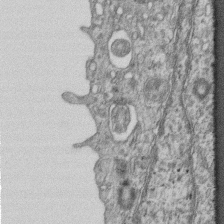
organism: Mouse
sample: Centriole in ependymal cells